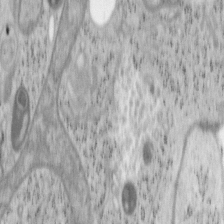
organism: Human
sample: HeLa cells